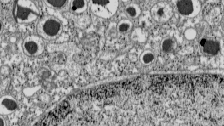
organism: C57BL Mouse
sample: Pancreatic islet